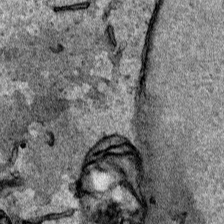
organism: Human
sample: Mitochondria in HCT116 cells